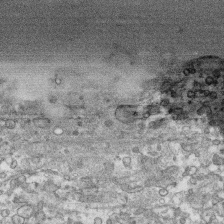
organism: Human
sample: CRL-1474